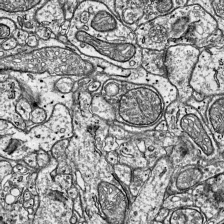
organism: Mouse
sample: Visual Cortex